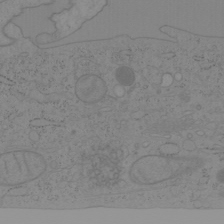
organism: Human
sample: HeLa cells